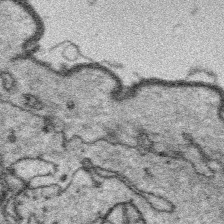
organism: Platynereis dumerilii